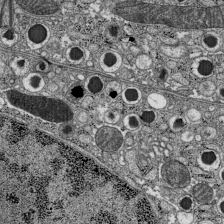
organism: C57BL Mouse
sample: Pancreatic islet